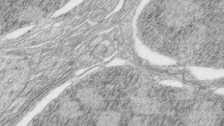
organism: Zebrafish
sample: synaptic ribbons in rod cells and cone cells